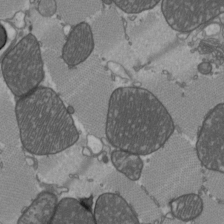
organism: C57BL Mouse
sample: Heart